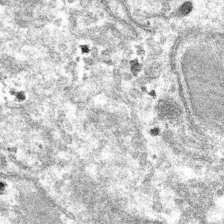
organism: Mouse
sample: Mouse hepatocytes